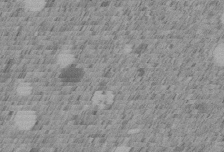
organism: C. elegans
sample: C. elegans embryo early stage